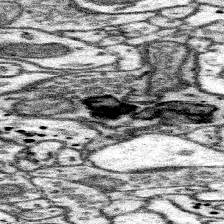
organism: Mouse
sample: Somatosensory cortex neuropil